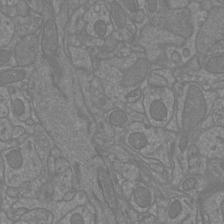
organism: Mouse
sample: Cortical neurons